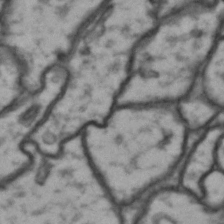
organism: Drosophila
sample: Brain